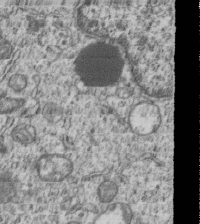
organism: Human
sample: MDA-MB-231 cells